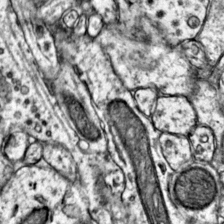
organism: Mouse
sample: Primary visual cortex